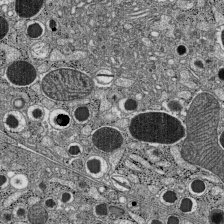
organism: C57BL Mouse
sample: Pancreatic islet